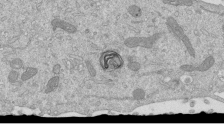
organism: Mouse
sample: ED-1 cell nuclei; centrioles